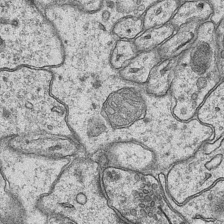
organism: Mouse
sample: CA1 Hippocampus